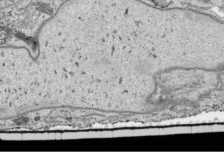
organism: Human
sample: Mitochondria in HCT116 cells